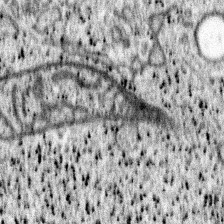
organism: Human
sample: HeLa cells